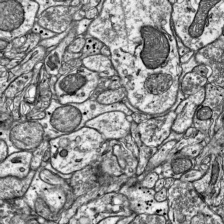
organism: Mouse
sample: Visual Cortex